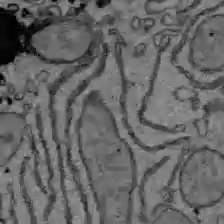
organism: C57BL Mouse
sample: Liver